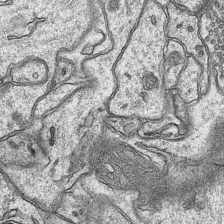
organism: Mouse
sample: CA1 Hippocampus